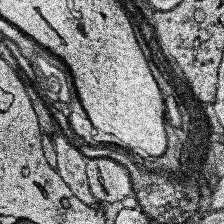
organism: Human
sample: Temporal Lobe